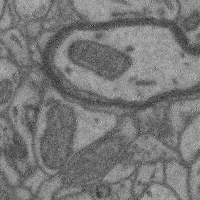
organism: Mouse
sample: Cerebral cortex